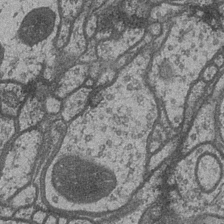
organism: Drosophila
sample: Optic medulla